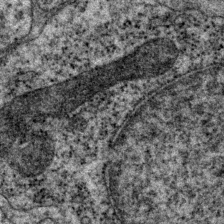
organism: P. pacificus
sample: Pharynx